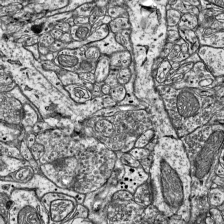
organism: Mouse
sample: Visual Cortex